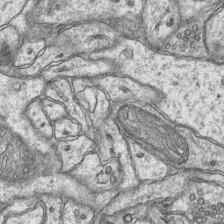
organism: Mouse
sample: CA1 Hippocampus